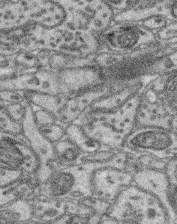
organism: Mouse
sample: Retina